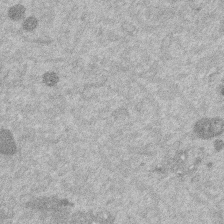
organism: Mouse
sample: Dividing mouse embryo 1 cell stage